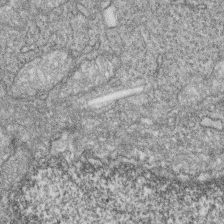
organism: Zebrafish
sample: Cilia; retinal pigment epithelium